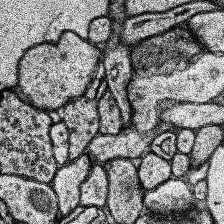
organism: Human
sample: Temporal Lobe